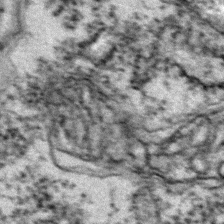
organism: Zebrafish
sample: Zebrafish embryo